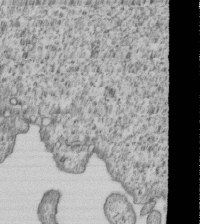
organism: Human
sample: MDA-MB-231 cells